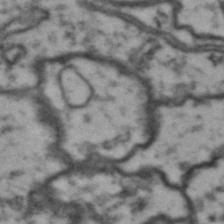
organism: Drosophila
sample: Brain